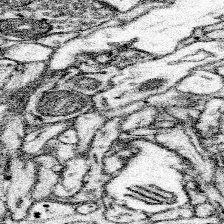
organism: Mouse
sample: Somatosensory cortex neuropil